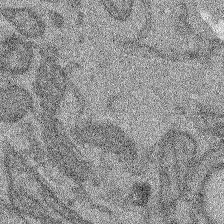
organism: Human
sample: HeLa cells